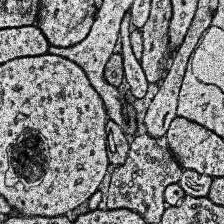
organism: Human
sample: Temporal Lobe